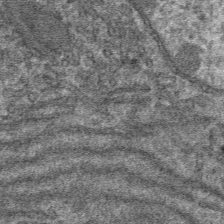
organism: Mouse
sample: Mouse hepatocytes